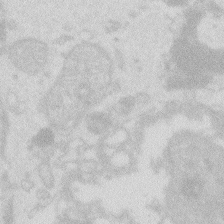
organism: Zebrafish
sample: Macrophage